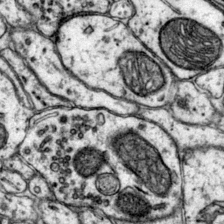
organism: Mouse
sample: Primary visual cortex